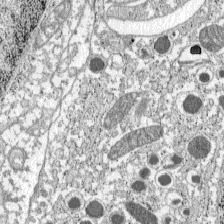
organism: C57BL Mouse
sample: Pancreatic islet